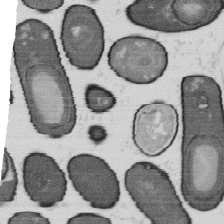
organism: B. subtilis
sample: Bacterial spore